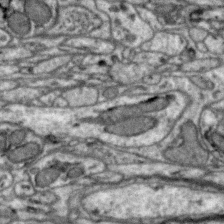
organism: Zebra finch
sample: Brain